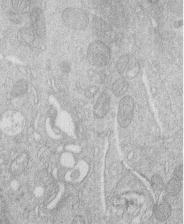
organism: Human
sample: Macrophage cells